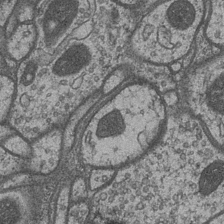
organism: Drosophila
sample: Optic medulla